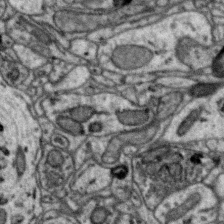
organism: Zebra finch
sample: Brain